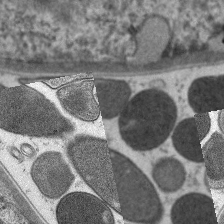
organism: C. elegans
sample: Pharynx